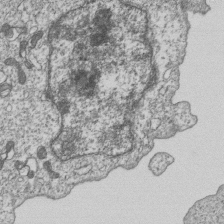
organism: Human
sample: MDA-MB-231 cells